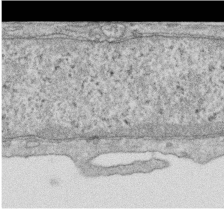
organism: Human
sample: Centriole in RPE cells